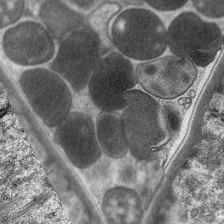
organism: C. elegans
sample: Pharynx